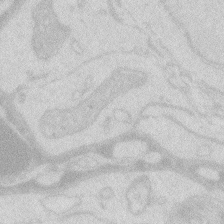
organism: Zebrafish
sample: Macrophage